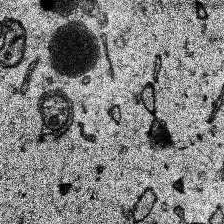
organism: Human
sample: Temporal Lobe